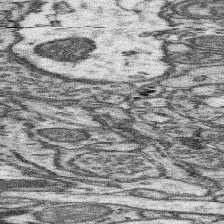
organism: Mouse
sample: Somatosensory cortex neuropil